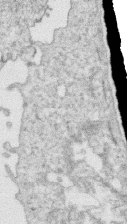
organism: Human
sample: HeLa cell HIV synapse